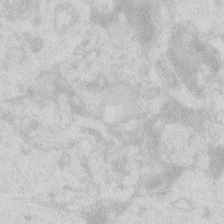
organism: Zebrafish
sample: Macrophage